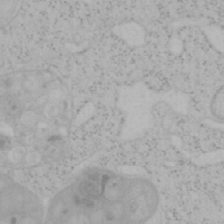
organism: Mouse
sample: OT-I killer T cells with ID8 ovarian cancer cells